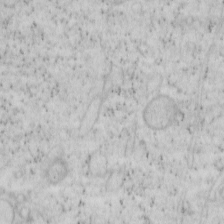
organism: Human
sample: HeLa cells